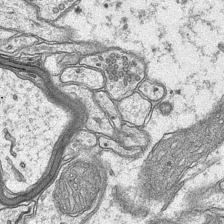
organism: Mouse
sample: CA1 Hippocampus